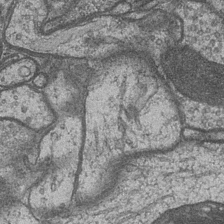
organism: Drosophila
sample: Optic medulla